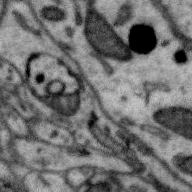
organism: Zebra finch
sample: Brain